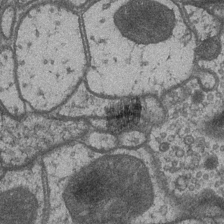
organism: Drosophila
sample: Optic medulla